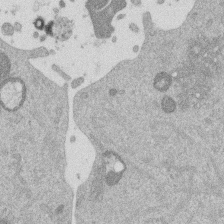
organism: Mouse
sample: Dividing mouse embryo 1 cell stage